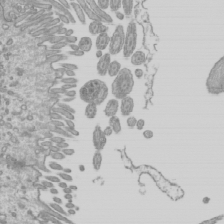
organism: Mouse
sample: Cilia; mouse epididymis